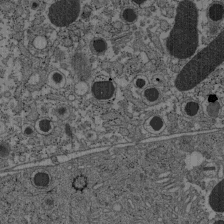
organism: C57BL Mouse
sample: Pancreatic islet